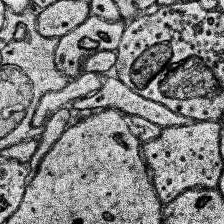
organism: Human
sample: Temporal Lobe